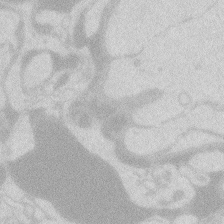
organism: Zebrafish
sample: Macrophage